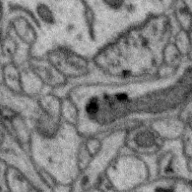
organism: Zebra finch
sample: Brain